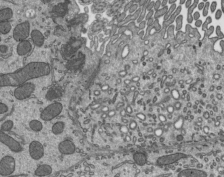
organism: Mouse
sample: Mouse epididymis efferent ductule cilia